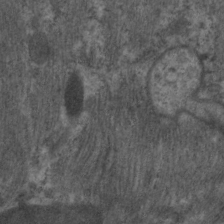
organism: C. elegans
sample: Pharynx